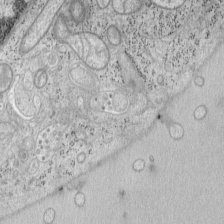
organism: Mouse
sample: OT-I killer T cells with ID8 ovarian cancer cells